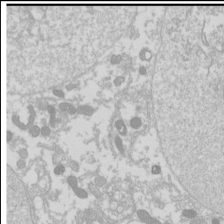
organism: Drosophila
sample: Cell division; meiosis; drosophila spermatocytes